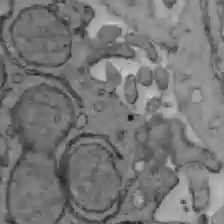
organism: C57BL Mouse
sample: Liver